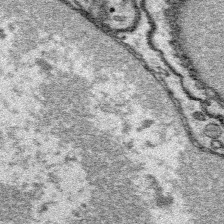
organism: Platynereis dumerilii